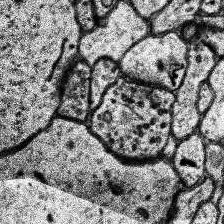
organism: Human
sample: Temporal Lobe